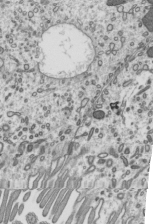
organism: Mouse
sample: Mouse epididymis efferent ductule cilia